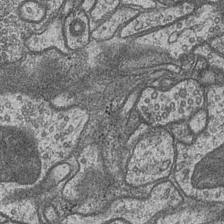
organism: Drosophila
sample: Optic medulla